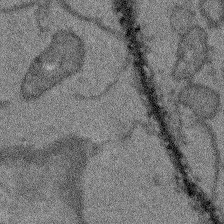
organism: Arabidopsis thaliana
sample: Root tip